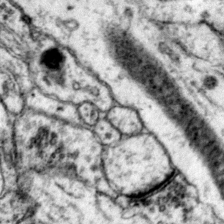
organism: Mouse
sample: Primary visual cortex